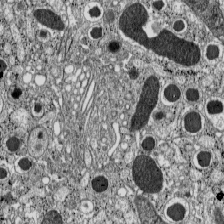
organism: C57BL Mouse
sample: Pancreatic islet